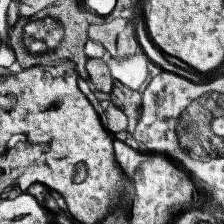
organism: Human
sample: Temporal Lobe